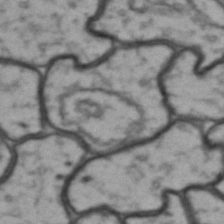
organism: Drosophila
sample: Brain